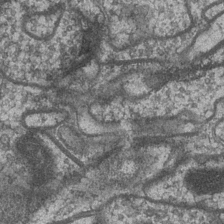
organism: Drosophila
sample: Optic medulla